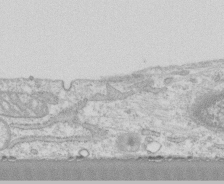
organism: Human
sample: CRL-1474